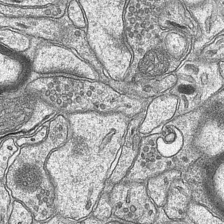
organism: Mouse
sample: CA1 Hippocampus